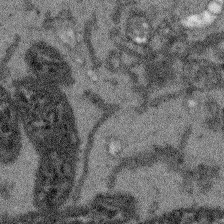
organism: Arabidopsis thaliana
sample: Root tip